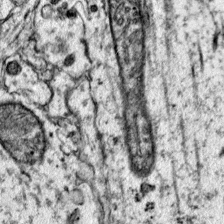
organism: Mouse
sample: Primary visual cortex